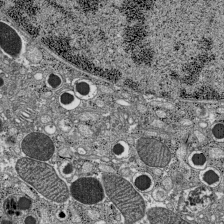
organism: C57BL Mouse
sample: Pancreatic islet